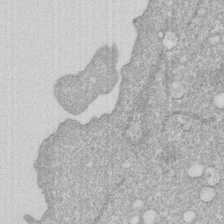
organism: Human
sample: HIV infected U937 cells